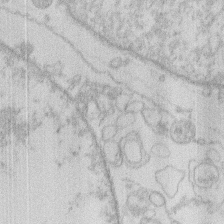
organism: Human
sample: Macrophage cells